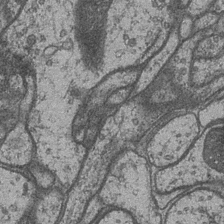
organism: Drosophila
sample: Optic medulla